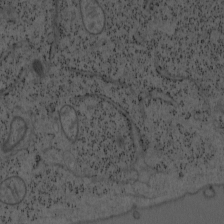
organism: Mouse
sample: OT-I killer T cells with ID8 ovarian cancer cells